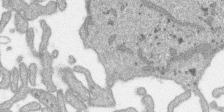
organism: Human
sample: Lung epithelial cells infected with SARS-CoV-2